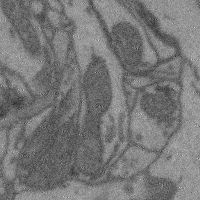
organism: Mouse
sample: Cerebral cortex